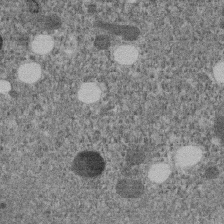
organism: C. elegans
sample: C. elegans embryo early stage